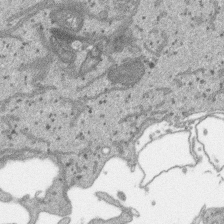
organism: Human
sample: Lung epithelial cells infected with SARS-CoV-2